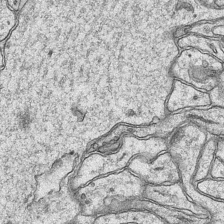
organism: Mouse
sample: CA1 Hippocampus